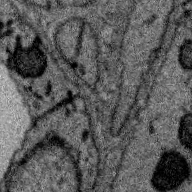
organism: Zebra finch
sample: Brain